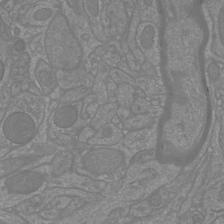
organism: Mouse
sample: Cortical neurons